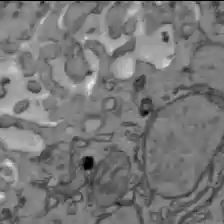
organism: C57BL Mouse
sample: Liver